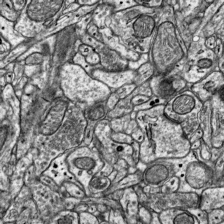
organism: Mouse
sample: Visual Cortex